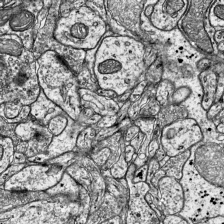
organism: Mouse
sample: Visual Cortex